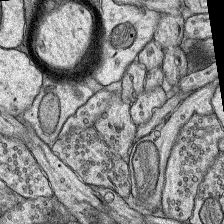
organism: Rat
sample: Hippocampus